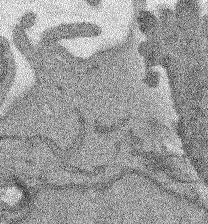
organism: Human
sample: HeLa cells